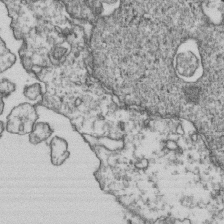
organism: Human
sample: Activated Jurkat CD4+ T cells